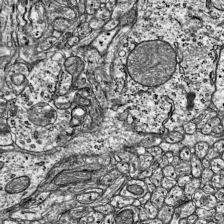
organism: Mouse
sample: Visual Cortex